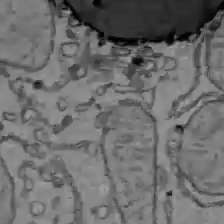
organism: C57BL Mouse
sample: Liver